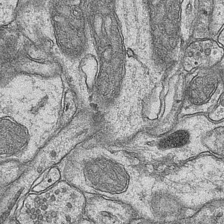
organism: Mouse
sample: CA1 Hippocampus